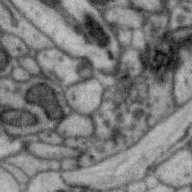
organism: Zebra finch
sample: Brain